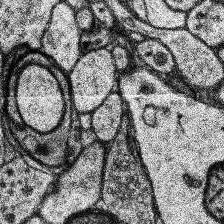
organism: Human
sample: Temporal Lobe